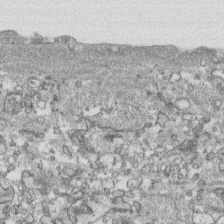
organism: Human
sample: CRL-1474